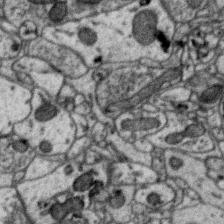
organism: Zebra finch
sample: Brain